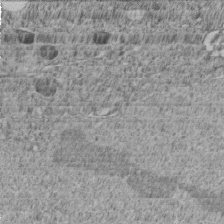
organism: C. elegans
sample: C. elegans embryo early stage